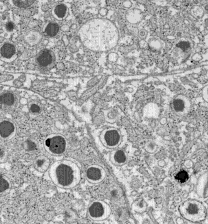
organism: C57BL Mouse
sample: Pancreatic islet